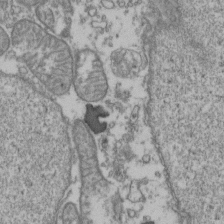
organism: Human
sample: Activated Jurkat CD4+ T cells